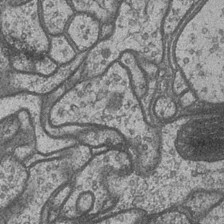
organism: Drosophila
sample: Optic medulla